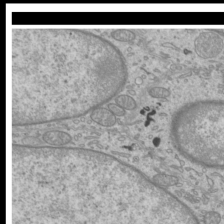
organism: Mouse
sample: Cilia; mouse epididymis